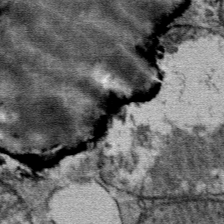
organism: Mouse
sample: Mouse Salivary gland